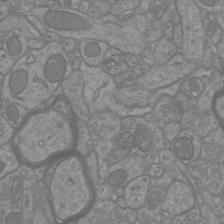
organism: Mouse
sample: Cortical neurons